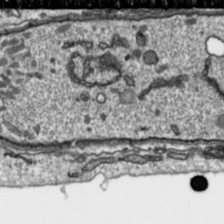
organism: Toxoplasma gondii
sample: Parasites in a vacuole inside a host cell